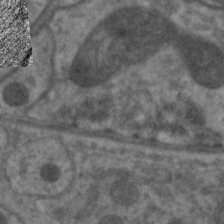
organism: C. elegans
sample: Pharynx